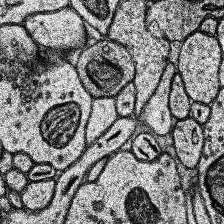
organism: Human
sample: Temporal Lobe